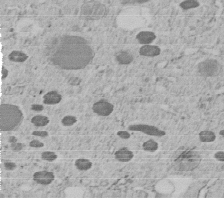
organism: C. elegans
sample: C. elegans embryo early stage